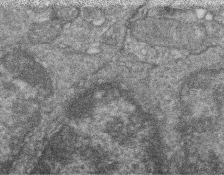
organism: Zebrafish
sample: Cilia; retinal pigment epithelium